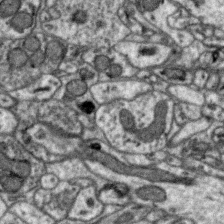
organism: Zebra finch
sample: Brain